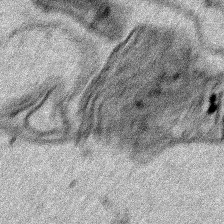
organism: Human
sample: Mitochondria in HCT116 cells